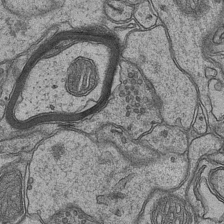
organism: Mouse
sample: CA1 Hippocampus